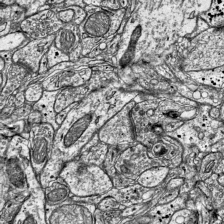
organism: Mouse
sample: Visual Cortex